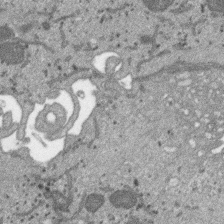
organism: Human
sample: Lung epithelial cells infected with SARS-CoV-2